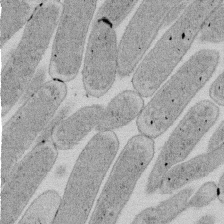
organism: E. coli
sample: Bacterial nucleoid